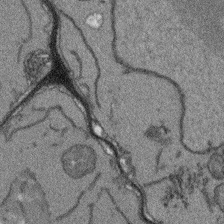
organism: Arabidopsis thaliana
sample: Root tip